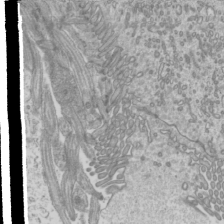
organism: Mouse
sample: Cilia; mouse epididymis